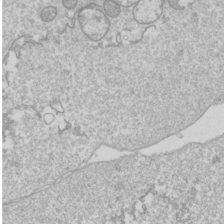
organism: Drosophila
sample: Cell division; meiosis; drosophila spermatocytes